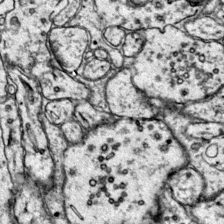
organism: Mouse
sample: Primary visual cortex